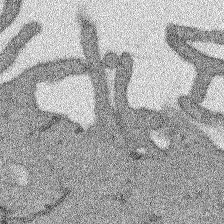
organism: Human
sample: HeLa cells